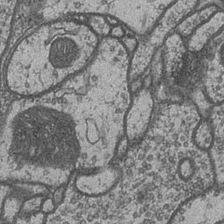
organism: Drosophila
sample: Optic medulla